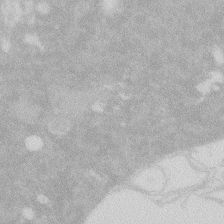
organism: Zebrafish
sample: Macrophage